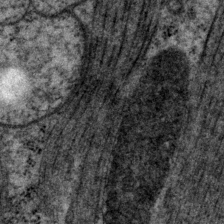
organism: P. pacificus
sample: Pharynx